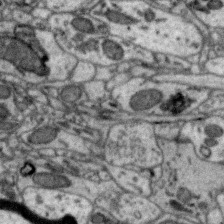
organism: Zebra finch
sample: Brain